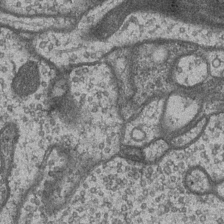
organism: Drosophila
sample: Optic medulla